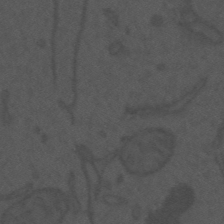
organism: Mouse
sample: Suprachiasmatic nucleus